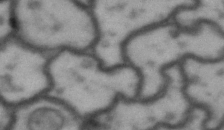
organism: Drosophila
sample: Brain